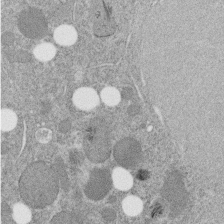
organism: C. elegans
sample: C. elegans embryo early stage